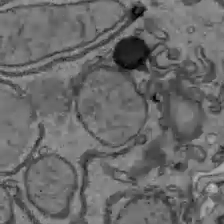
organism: C57BL Mouse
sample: Liver